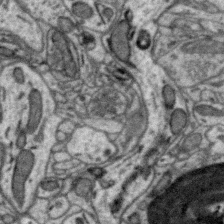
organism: Zebra finch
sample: Brain